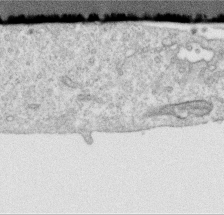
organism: Human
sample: Centriole in RPE cells